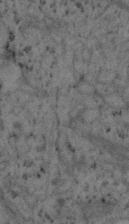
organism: Human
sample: HeLa cells